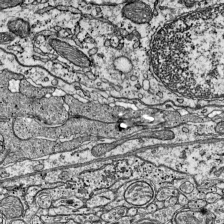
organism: Mouse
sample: Visual Cortex